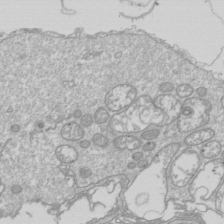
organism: Drosophila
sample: Cell division; meiosis; drosophila spermatocytes